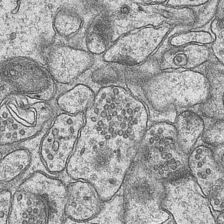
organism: Mouse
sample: CA1 Hippocampus